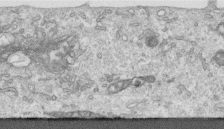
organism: Human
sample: Centriole in RPE cells